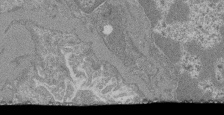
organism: Mouse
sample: Glomerulus